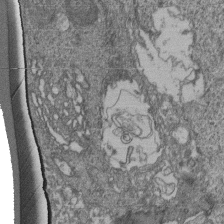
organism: Human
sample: Retinal organoid Rod and Cone cells